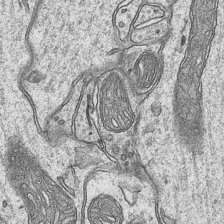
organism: Mouse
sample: CA1 Hippocampus